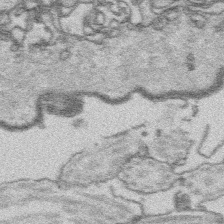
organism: Platynereis dumerilii